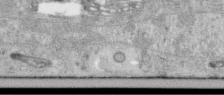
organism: Human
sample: Centriole in RPE cells